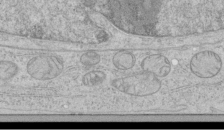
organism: Human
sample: Mitochondria in HCT116 cells